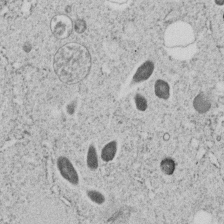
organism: C. elegans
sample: C. elegans embryo early stage